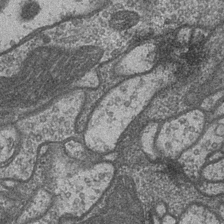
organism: Drosophila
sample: Optic medulla